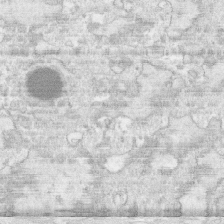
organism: Human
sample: CRL-1474